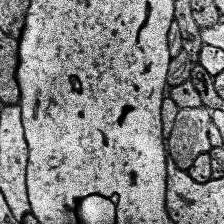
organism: Human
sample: Temporal Lobe